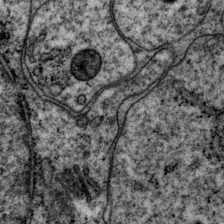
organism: P. pacificus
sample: Pharynx